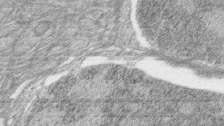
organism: Zebrafish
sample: synaptic ribbons in rod cells and cone cells